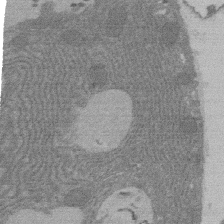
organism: Rat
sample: Salivary granule